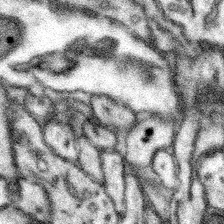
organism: Mouse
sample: Somatosensory cortex neuropil